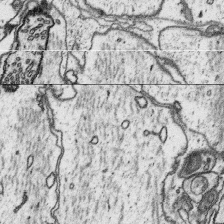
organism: Platynereis dumerilii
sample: Parapodia